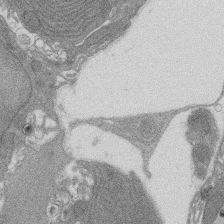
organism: Rat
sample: Salivary granule